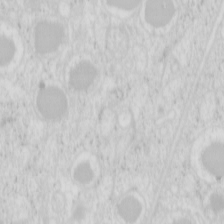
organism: Mouse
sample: Pancreas